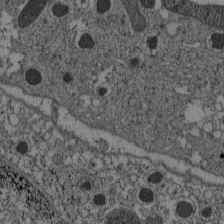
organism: C57BL Mouse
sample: Pancreatic islet